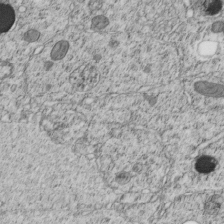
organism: C. elegans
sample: C. elegans embryo early stage